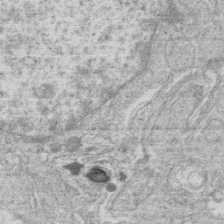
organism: Human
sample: Macrophage cells